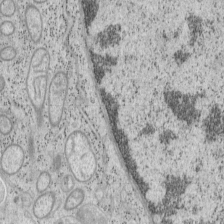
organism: Mouse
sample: OT-I killer T cells with ID8 ovarian cancer cells